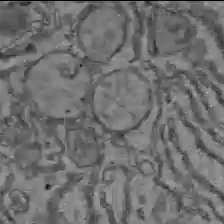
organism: C57BL Mouse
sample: Liver